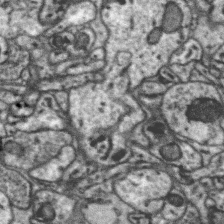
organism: Zebra finch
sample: Brain